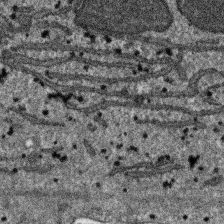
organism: Human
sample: Lung epithelial cells infected with SARS-CoV-2